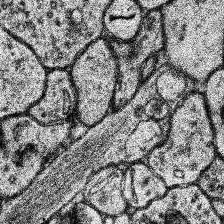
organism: Human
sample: Temporal Lobe